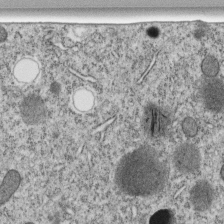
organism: C. elegans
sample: C. elegans embryo early stage